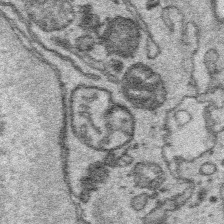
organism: Platynereis dumerilii